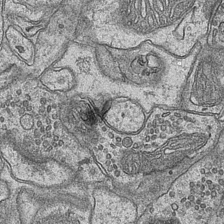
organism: Mouse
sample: CA1 Hippocampus